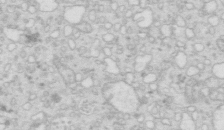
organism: Mouse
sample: Multiciliated cells